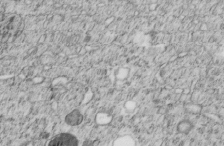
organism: C. elegans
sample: C. elegans embryo early stage